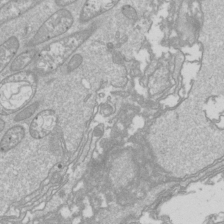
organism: Drosophila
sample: Cell division; meiosis; drosophila spermatocytes